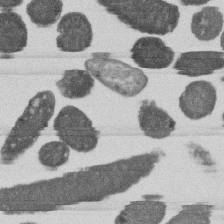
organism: E. coli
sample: Bacterial nucleoid